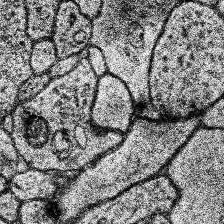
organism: Human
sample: Temporal Lobe